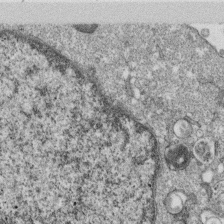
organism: African green monkey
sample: Vero E6 cells infected with SARS-CoV-2